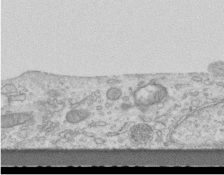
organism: Mouse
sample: Centriole in ependymal cells